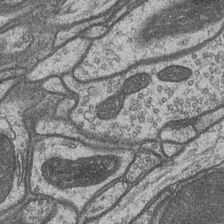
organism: Drosophila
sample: Optic medulla